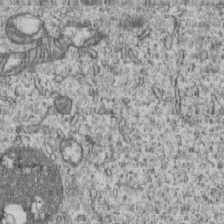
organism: Human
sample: MDA-MB-231 cells